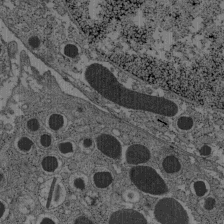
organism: C57BL Mouse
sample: Pancreatic islet